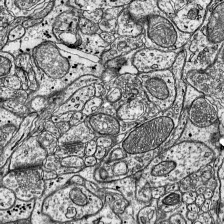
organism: Mouse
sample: Visual Cortex